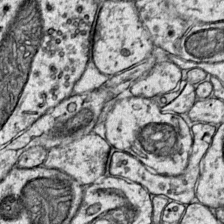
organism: Mouse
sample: Primary visual cortex